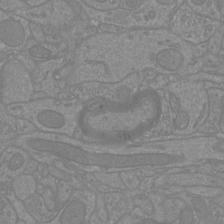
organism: Mouse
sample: Cortical neurons